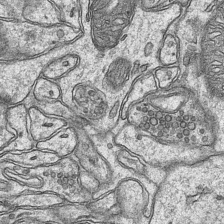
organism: Mouse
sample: CA1 Hippocampus